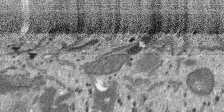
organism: Human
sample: Lung epithelial cells infected with SARS-CoV-2